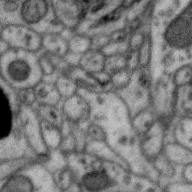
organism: Zebra finch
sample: Brain